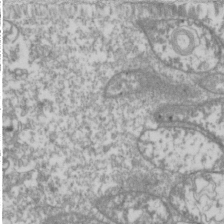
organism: Drosophila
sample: Cell division; meiosis; drosophila spermatocytes